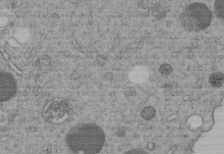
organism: C. elegans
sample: C. elegans embryo early stage